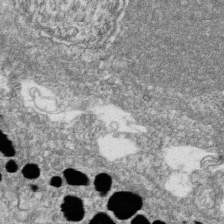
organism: Zebrafish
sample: Cilia; retinal pigment epithelium